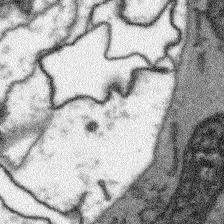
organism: Arabidopsis thaliana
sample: Root tip